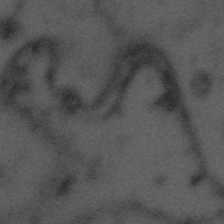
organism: Tuwongella immobilis